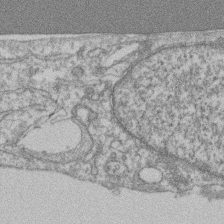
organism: Mouse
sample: T cell stromal cell synapse